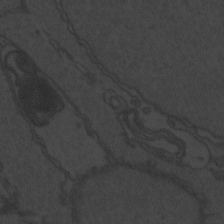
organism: Zebrafish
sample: Macrophage infected with Toxoplasma gondii